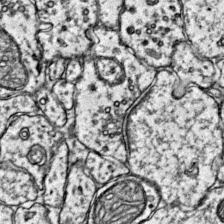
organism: Mouse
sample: Primary visual cortex